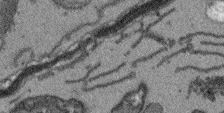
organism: Arabidopsis thaliana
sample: Root tip